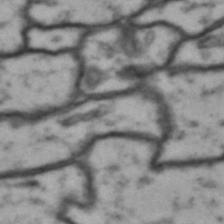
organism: Drosophila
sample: Brain